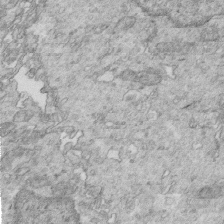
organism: Mouse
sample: Multiciliated cells